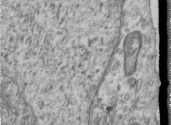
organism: Human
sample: Centriole in RPE cells